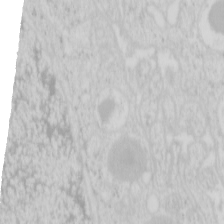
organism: Mouse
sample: Pancreas